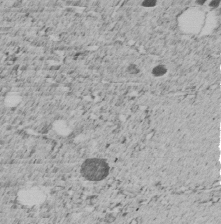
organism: C. elegans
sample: C. elegans embryo early stage